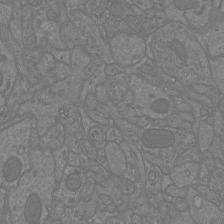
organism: Mouse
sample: Cortical neurons